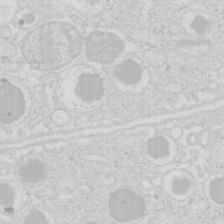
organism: Mouse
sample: Pancreas